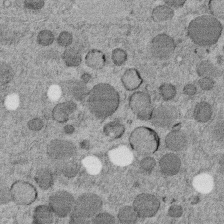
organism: C. elegans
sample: C. elegans embryo early stage